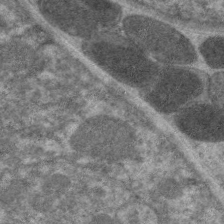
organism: C. elegans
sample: Pharynx